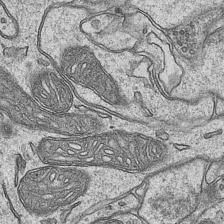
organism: Mouse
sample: CA1 Hippocampus